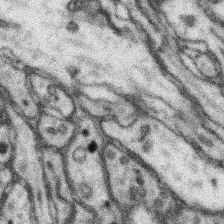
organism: Mouse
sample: Somatosensory cortex neuropil